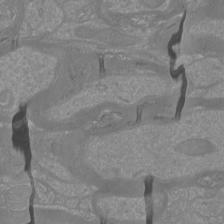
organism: Mouse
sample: Cortical neurons